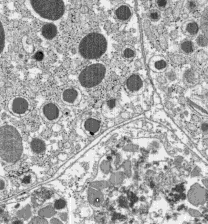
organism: C57BL Mouse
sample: Pancreatic islet